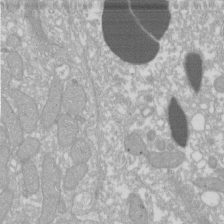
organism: Xenopus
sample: Cilia; centrioles in frog embryo cells